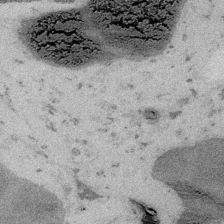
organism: Embia sp.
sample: Silk gland